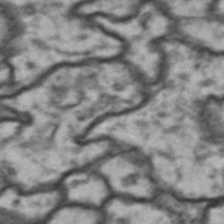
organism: Drosophila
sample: Brain